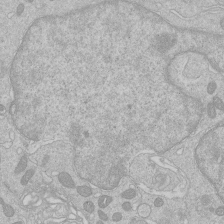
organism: Human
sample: Macrophage cells